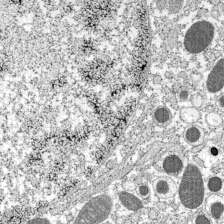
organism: C57BL Mouse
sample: Pancreatic islet